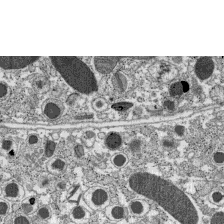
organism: C57BL Mouse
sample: Pancreatic islet